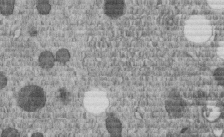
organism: C. elegans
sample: C. elegans embryo early stage